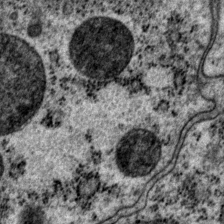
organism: P. pacificus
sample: Pharynx